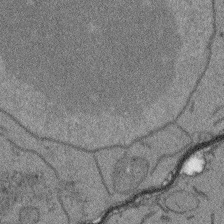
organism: Arabidopsis thaliana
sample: Root tip